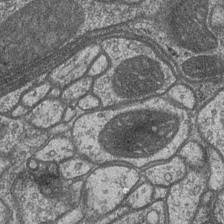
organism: Drosophila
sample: Optic medulla